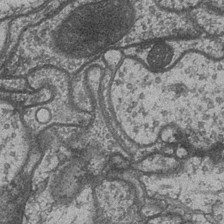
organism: Drosophila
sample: Optic medulla